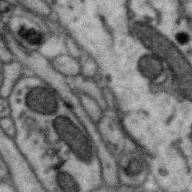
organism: Zebra finch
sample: Brain